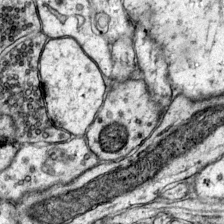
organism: Mouse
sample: Primary visual cortex